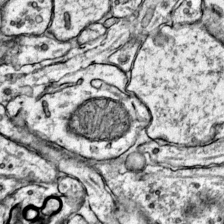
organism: Mouse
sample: Primary visual cortex